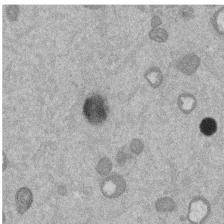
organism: Mouse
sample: Dividing mouse embryo 1 cell stage